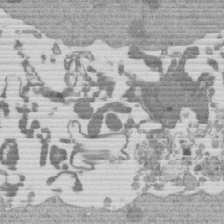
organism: Mouse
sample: Dividing mouse embryo 1 cell stage